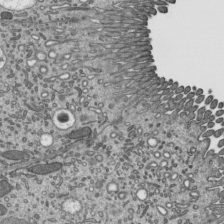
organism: Mouse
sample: Mouse epididymis efferent ductule cilia